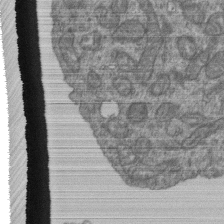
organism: Human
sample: Retinal organoid Rod and Cone cells